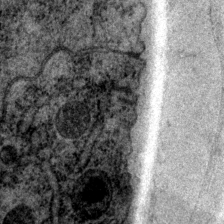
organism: P. pacificus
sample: Pharynx